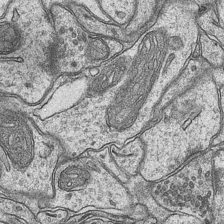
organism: Mouse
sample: CA1 Hippocampus